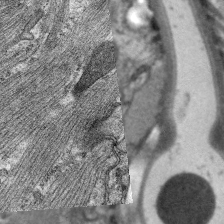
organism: C. elegans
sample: Pharynx